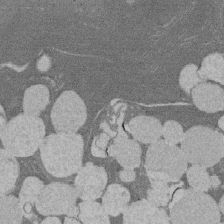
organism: Rat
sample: Salivary granule